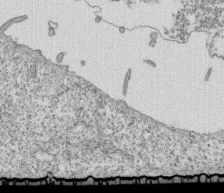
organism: Human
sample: HeLa cell HIV synapse